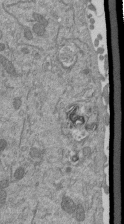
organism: Mouse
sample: ED-1 cell nuclei; centrioles